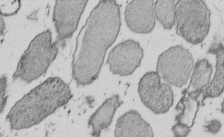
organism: E. coli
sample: Bacterial nucleoid